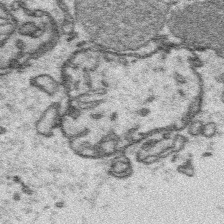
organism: Platynereis dumerilii